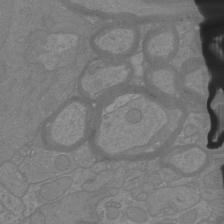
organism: Mouse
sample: Cortical neurons